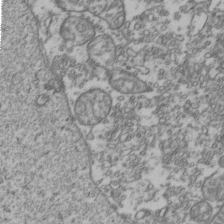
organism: Human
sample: Activated Jurkat CD4+ T cells